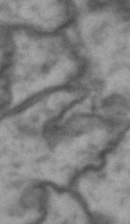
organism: Drosophila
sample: Brain